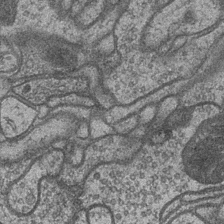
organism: Drosophila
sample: Optic medulla